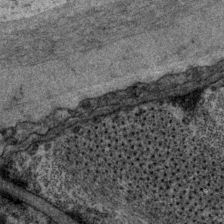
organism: P. pacificus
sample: Pharynx